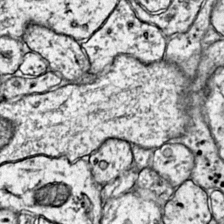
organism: Mouse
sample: Primary visual cortex